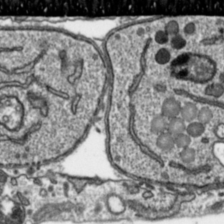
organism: Toxoplasma gondii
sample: Parasites in a vacuole inside a host cell